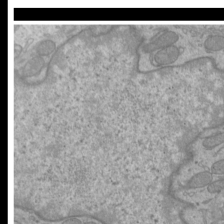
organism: Mouse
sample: Cilia; mouse epididymis